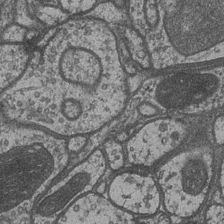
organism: Drosophila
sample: Optic medulla